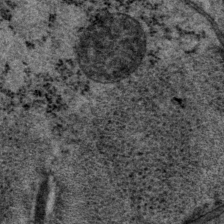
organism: P. pacificus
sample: Pharynx